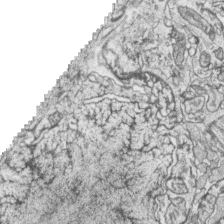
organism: Zebrafish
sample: synaptic ribbons in rod cells and cone cells